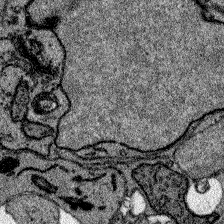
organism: Zebrafish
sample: Larval olfactory bulb